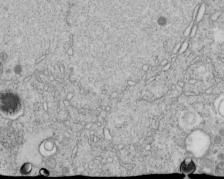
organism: C. elegans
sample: C. elegans embryo early stage